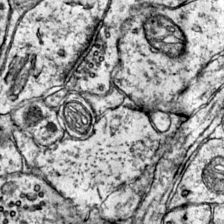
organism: Mouse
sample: Primary visual cortex